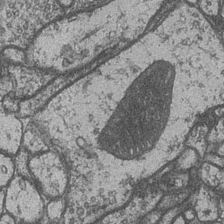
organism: Drosophila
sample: Optic medulla